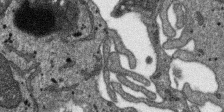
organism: Human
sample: Lung epithelial cells infected with SARS-CoV-2